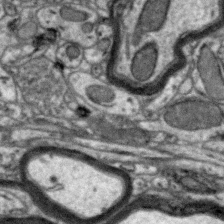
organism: Zebra finch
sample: Brain